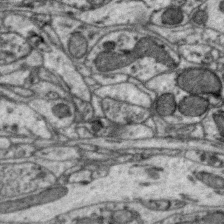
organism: Zebra finch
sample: Brain